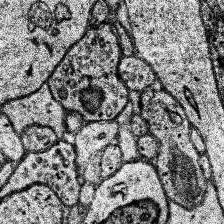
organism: Human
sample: Temporal Lobe